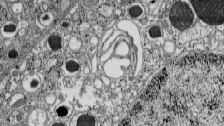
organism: C57BL Mouse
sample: Pancreatic islet